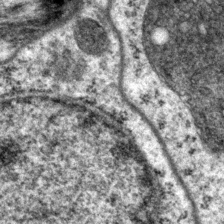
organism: P. pacificus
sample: Pharynx